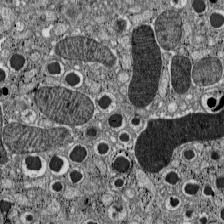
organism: C57BL Mouse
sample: Pancreatic islet